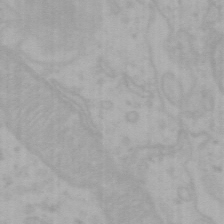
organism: Mouse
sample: Choroid plexus